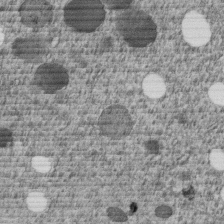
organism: C. elegans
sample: C. elegans embryo early stage